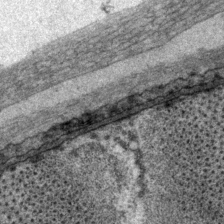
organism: P. pacificus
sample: Pharynx